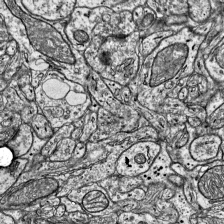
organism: Mouse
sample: Visual Cortex